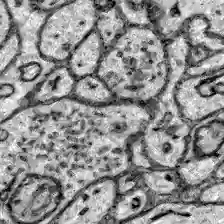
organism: Zebrafish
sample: Brain